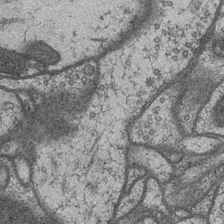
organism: Drosophila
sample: Optic medulla